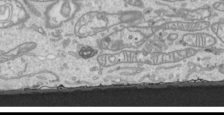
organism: Human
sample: Mitochondria in HCT116 cells